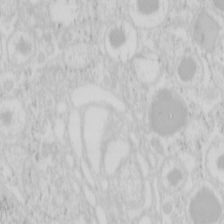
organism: Mouse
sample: Pancreas